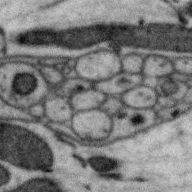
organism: Zebra finch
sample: Brain